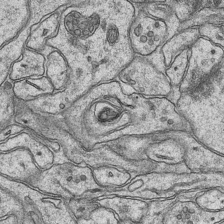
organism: Mouse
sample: CA1 Hippocampus